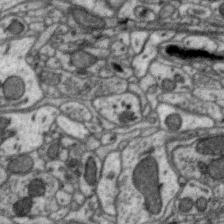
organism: Zebra finch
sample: Brain